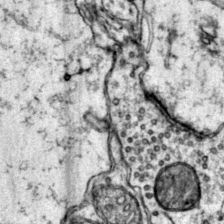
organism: Mouse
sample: Primary visual cortex